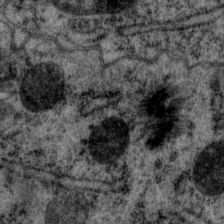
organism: P. pacificus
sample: Pharynx